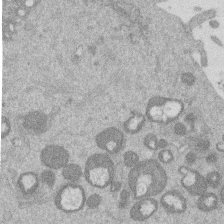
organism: Mouse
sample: Dividing mouse embryo 1 cell stage